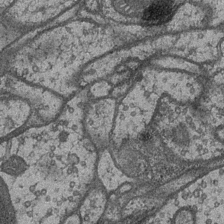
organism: Drosophila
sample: Optic medulla